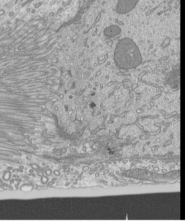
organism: Mouse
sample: Cilia; mouse epididymis